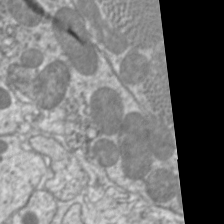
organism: C. elegans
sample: Pharynx